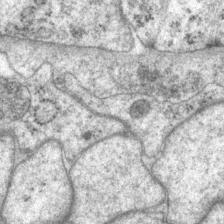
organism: P. pacificus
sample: Pharynx